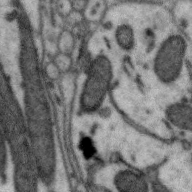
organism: Zebra finch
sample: Brain